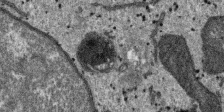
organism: Human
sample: Lung epithelial cells, uninfected (mock) control